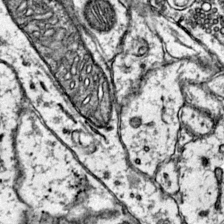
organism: Mouse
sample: Primary visual cortex